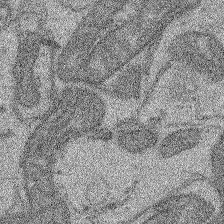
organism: Human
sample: HeLa cells